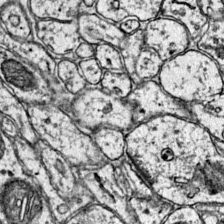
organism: Mouse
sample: Primary visual cortex